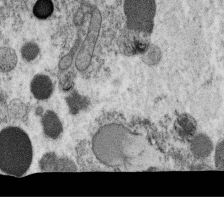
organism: C. elegans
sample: C. elegans oocyte; sperm cells